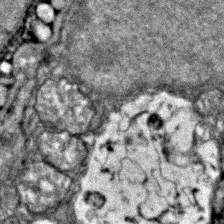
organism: Zebrafish